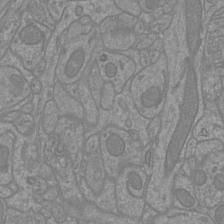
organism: Mouse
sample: Cortical neurons